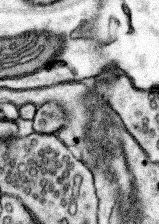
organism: Mouse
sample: Somatosensory cortex neuropil